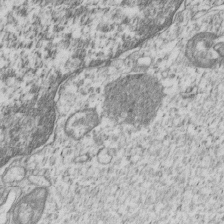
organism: Human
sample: MDA-MB-231 cells